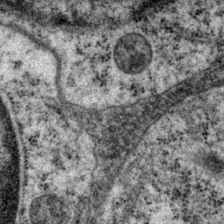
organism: P. pacificus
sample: Pharynx